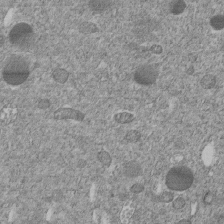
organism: C. elegans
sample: C. elegans embryo early stage